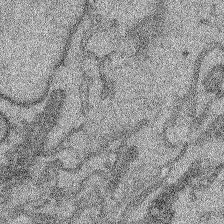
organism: Human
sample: HeLa cells